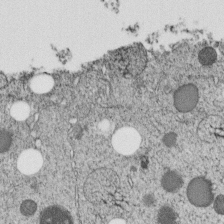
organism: C. elegans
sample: C. elegans embryo early stage